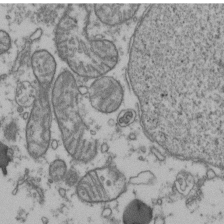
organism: Human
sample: Activated Jurkat CD4+ T cells